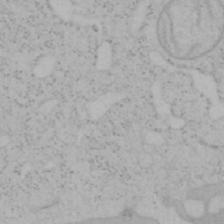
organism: Mouse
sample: OT-I killer T cells with ID8 ovarian cancer cells